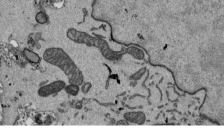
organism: Mouse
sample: ED-1 cell nuclei; centrioles